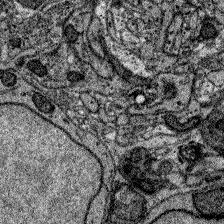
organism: Zebrafish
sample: Larval olfactory bulb